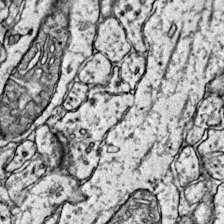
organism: Mouse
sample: Primary visual cortex